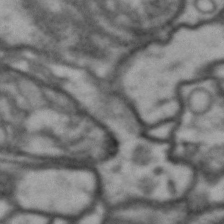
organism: Drosophila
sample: Brain